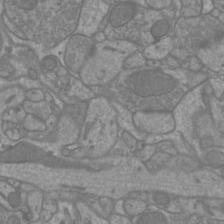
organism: Mouse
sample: Cortical neurons